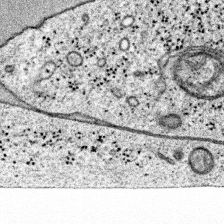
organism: Human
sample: HeLa cells